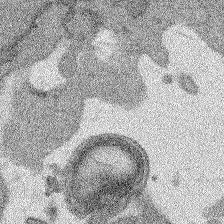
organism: Human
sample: HeLa cells